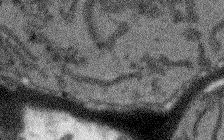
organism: Arabidopsis thaliana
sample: Root tip